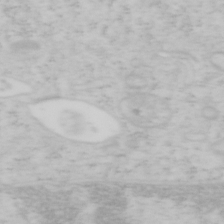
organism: Mouse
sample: OT-I killer T cells with ID8 ovarian cancer cells